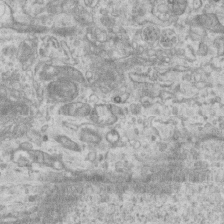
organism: Mouse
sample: Centriole in ependymal cells